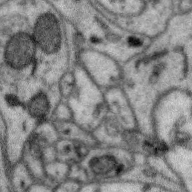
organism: Zebra finch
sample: Brain